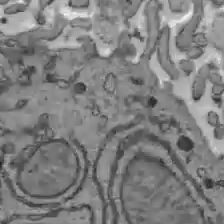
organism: C57BL Mouse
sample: Liver